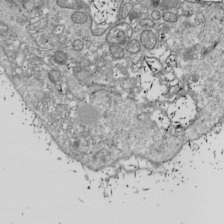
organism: Drosophila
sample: Cell division; meiosis; drosophila spermatocytes